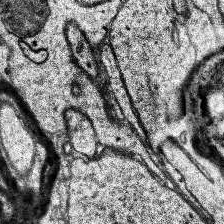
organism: Human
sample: Temporal Lobe